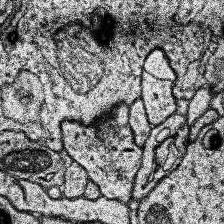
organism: Human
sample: Temporal Lobe